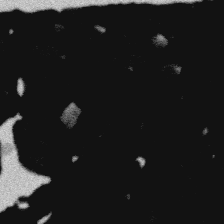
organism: Platynereis dumerilii